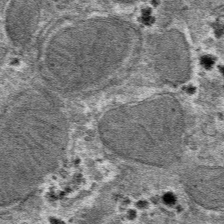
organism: Mouse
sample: Mouse hepatocytes